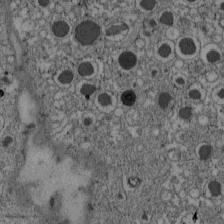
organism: C57BL Mouse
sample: Pancreatic islet